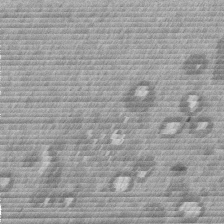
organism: Mouse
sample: Dividing mouse embryo 1 cell stage